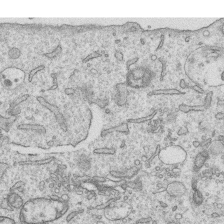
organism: Human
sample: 1205lu cells